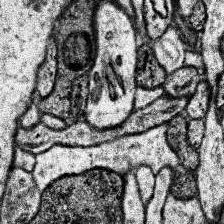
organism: Human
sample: Temporal Lobe